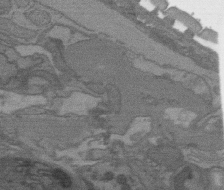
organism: C. elegans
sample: AFD neurons C. elegans